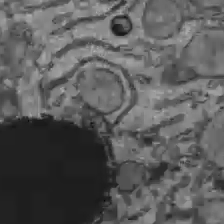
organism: C57BL Mouse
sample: Liver